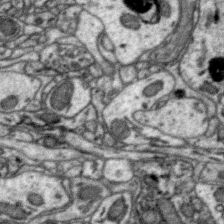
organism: Zebra finch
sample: Brain